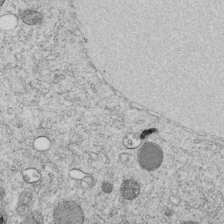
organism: C. elegans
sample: C. elegans embryo early stage